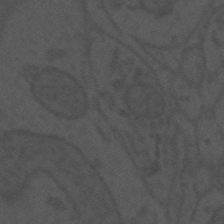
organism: Mouse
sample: Suprachiasmatic nucleus